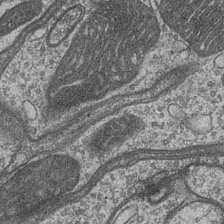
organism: Drosophila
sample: Optic medulla